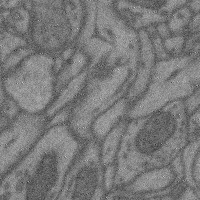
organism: Mouse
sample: Cerebral cortex